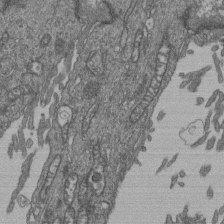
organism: Human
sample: Retinal organoid Rod and Cone cells